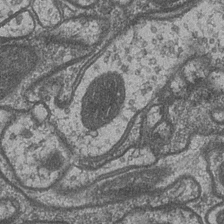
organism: Drosophila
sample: Optic medulla